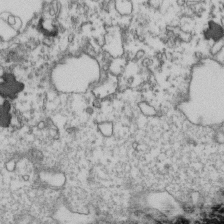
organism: Human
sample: Activated Jurkat CD4+ T cells